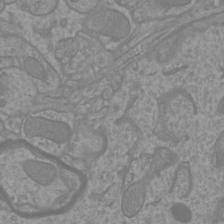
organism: Mouse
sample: Cortical neurons